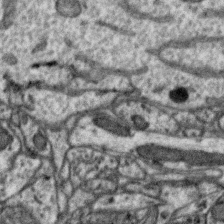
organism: Zebra finch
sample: Brain